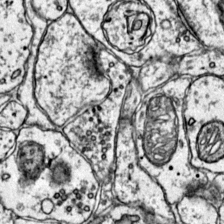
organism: Mouse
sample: Primary visual cortex